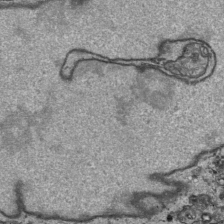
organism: Human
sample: Mitochondria in HCT116 cells